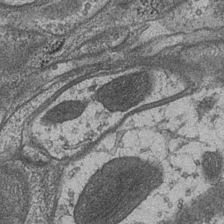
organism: Drosophila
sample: Optic medulla